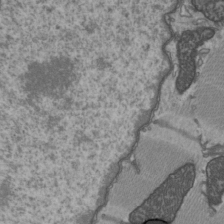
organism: C57BL Mouse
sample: Heart